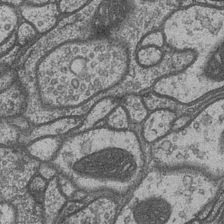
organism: Drosophila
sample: Optic medulla